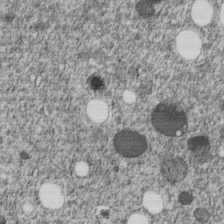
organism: C. elegans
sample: C. elegans embryo early stage